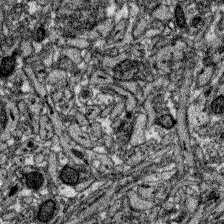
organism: Zebrafish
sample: Larval olfactory bulb